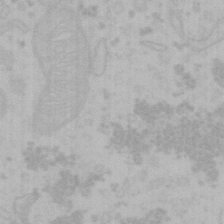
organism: Mouse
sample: Choroid plexus